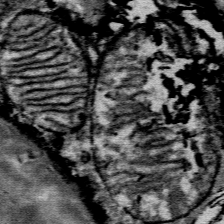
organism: Mouse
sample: Mouse Salivary gland